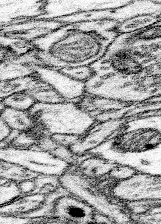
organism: Mouse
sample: Somatosensory cortex neuropil